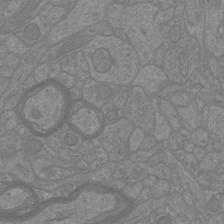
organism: Mouse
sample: Cortical neurons